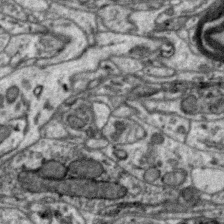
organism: Zebra finch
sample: Brain